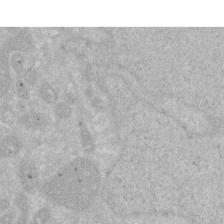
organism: Human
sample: HIV infected U937 cells